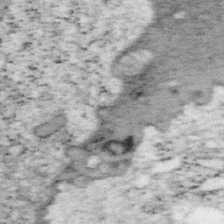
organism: Mouse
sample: OT-I killer T cells with ID8 ovarian cancer cells